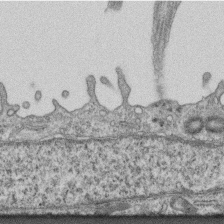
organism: Mouse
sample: Centriole in ependymal cells